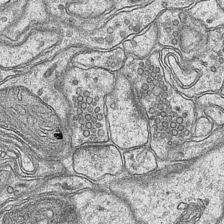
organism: Mouse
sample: CA1 Hippocampus